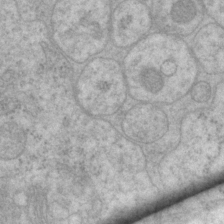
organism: P. pacificus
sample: Pharynx